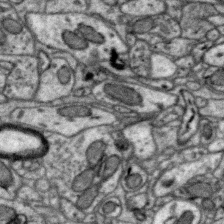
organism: Zebra finch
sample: Brain